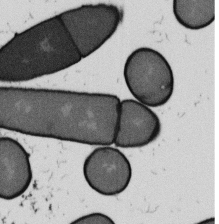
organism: B. subtilis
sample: Bacterial spore